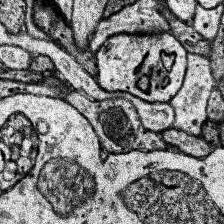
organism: Human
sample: Temporal Lobe